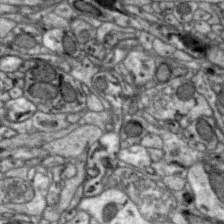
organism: Zebra finch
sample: Brain